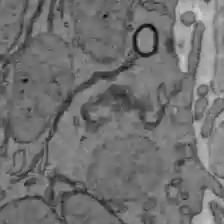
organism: C57BL Mouse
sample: Liver